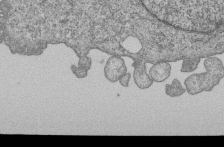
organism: Human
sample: MDA-MB-231 cells